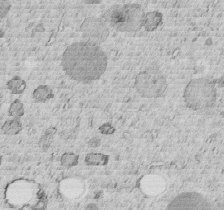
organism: C. elegans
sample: C. elegans embryo early stage